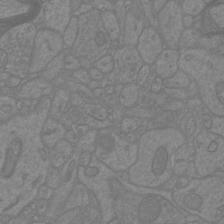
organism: Mouse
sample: Cortical neurons